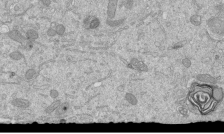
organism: Mouse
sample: ED-1 cell nuclei; centrioles